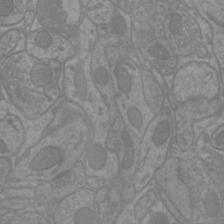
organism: Mouse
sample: Cortical neurons